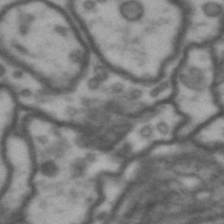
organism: Drosophila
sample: Brain